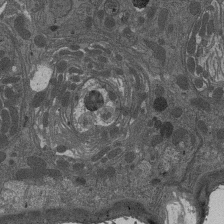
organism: Drosophila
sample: Antenna